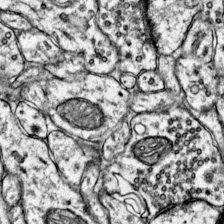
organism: Mouse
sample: Primary visual cortex